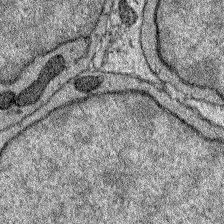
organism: Zebrafish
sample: Larval olfactory bulb